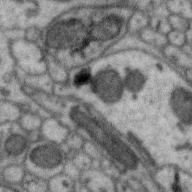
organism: Zebra finch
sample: Brain